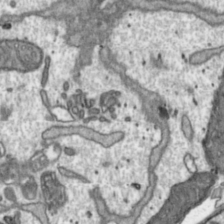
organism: Toxoplasma gondii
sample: Parasites in a vacuole inside a host cell